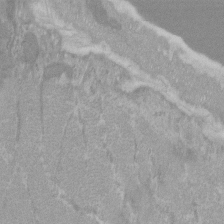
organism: C57BL Mouse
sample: Tibialis anterior muscle cell